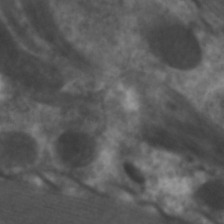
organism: C. elegans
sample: Pharynx